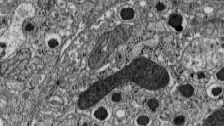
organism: C57BL Mouse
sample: Pancreatic islet